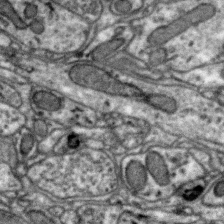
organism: Zebra finch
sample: Brain